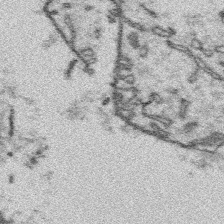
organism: Platynereis dumerilii